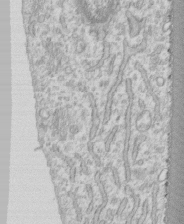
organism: Human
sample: CRL-1474